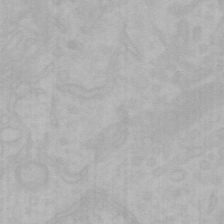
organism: Mouse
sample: Choroid plexus